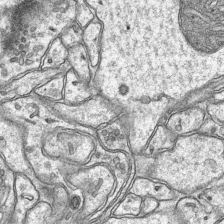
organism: Mouse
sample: CA1 Hippocampus